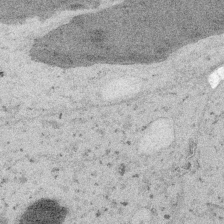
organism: Embia sp.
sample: Silk gland